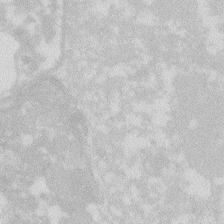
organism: Zebrafish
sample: Macrophage